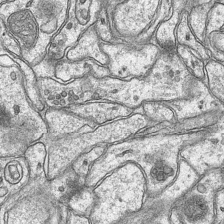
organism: Mouse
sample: CA1 Hippocampus